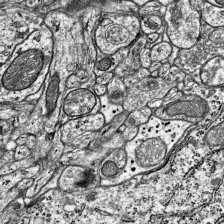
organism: Mouse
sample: Visual Cortex